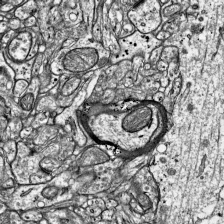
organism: Mouse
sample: Visual Cortex